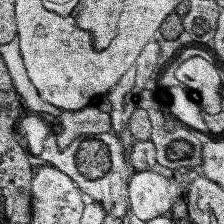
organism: Human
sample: Temporal Lobe